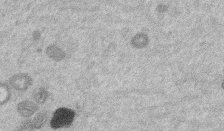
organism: Mouse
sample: Dividing mouse embryo 1 cell stage